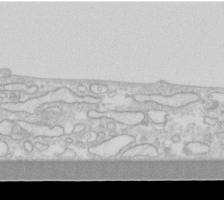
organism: Human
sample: Fibroblast cells